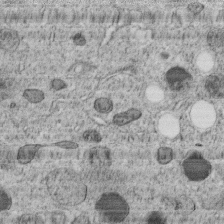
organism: C. elegans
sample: C. elegans embryo early stage